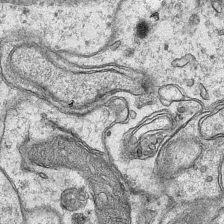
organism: Mouse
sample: CA1 Hippocampus